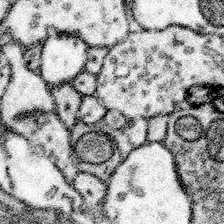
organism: Mouse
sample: Somatosensory cortex neuropil